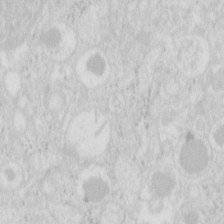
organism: Mouse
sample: Pancreas